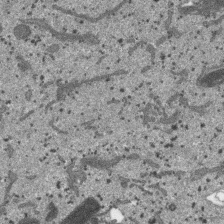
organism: Human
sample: Lung epithelial cells infected with SARS-CoV-2